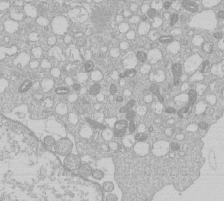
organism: Human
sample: Macrophage cells